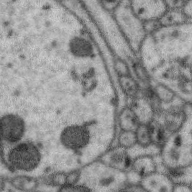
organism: Zebra finch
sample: Brain